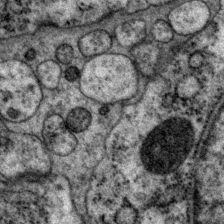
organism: P. pacificus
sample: Pharynx